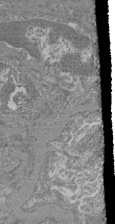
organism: Mouse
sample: Glomerulus